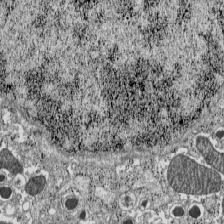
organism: C57BL Mouse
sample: Pancreatic islet